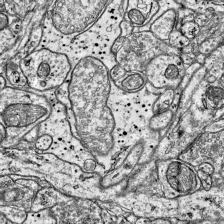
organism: Mouse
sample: Visual Cortex